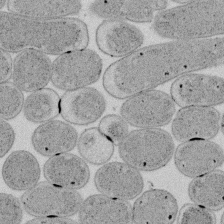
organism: E. coli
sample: Bacterial nucleoid